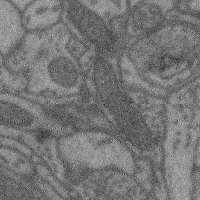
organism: Mouse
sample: Cerebral cortex